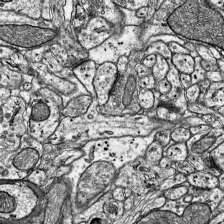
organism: Mouse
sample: Visual Cortex